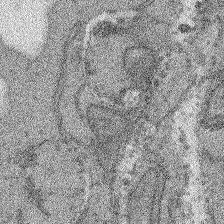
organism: Human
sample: HeLa cells